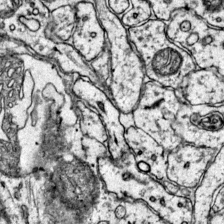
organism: Mouse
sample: Primary visual cortex